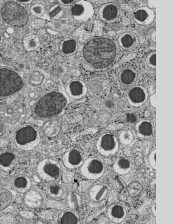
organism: C57BL Mouse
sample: Pancreatic islet